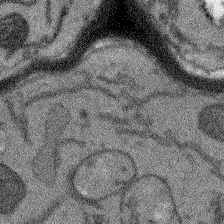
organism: Arabidopsis thaliana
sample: Root tip